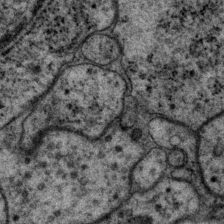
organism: P. pacificus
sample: Pharynx